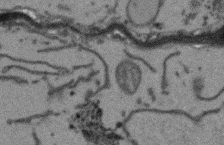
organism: Arabidopsis thaliana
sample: Root tip